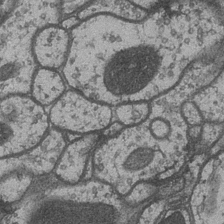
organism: Drosophila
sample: Optic medulla